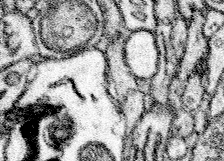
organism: Mouse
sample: Somatosensory cortex neuropil